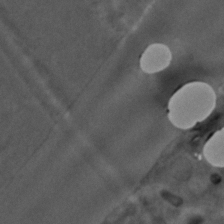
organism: C. elegans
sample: C. elegans embryo